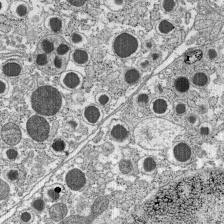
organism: C57BL Mouse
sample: Pancreatic islet